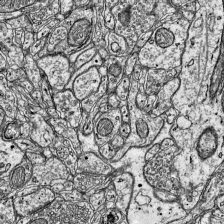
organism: Mouse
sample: Visual Cortex